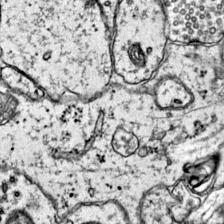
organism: Mouse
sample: Primary visual cortex